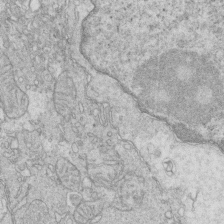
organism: Mouse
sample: Multiciliated cells